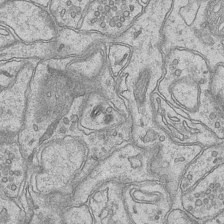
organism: Mouse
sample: CA1 Hippocampus